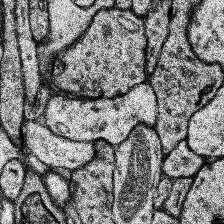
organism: Human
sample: Temporal Lobe